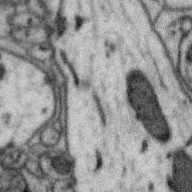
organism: Zebra finch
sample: Brain